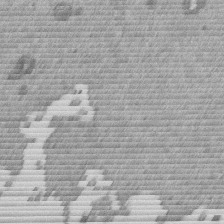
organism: Mouse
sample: Dividing mouse embryo 1 cell stage